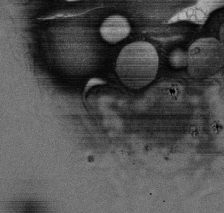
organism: Rat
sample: Salivary granule